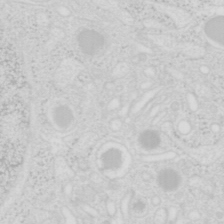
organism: Mouse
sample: Pancreas